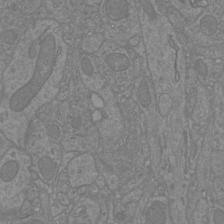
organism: Mouse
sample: Cortical neurons